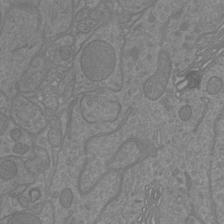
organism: Mouse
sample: Cortical neurons